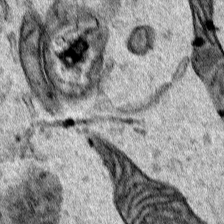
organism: Human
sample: Mitochondria in HCT116 cells